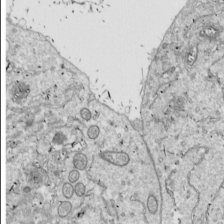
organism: Drosophila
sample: Cell division; meiosis; drosophila spermatocytes